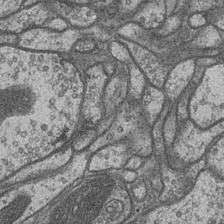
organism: Drosophila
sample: Optic medulla